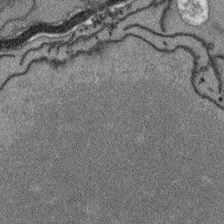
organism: Arabidopsis thaliana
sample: Root tip